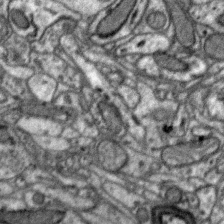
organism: Zebra finch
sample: Brain